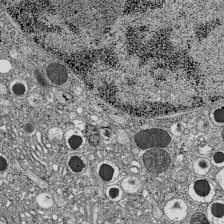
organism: C57BL Mouse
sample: Pancreatic islet